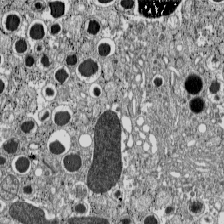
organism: C57BL Mouse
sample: Pancreatic islet